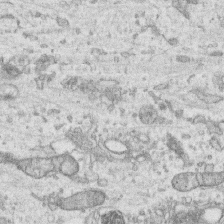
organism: Human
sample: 1205lu cells